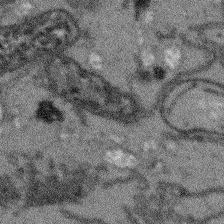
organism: Arabidopsis thaliana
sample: Root tip